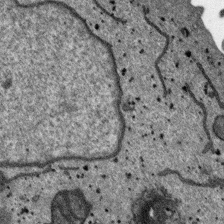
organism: Human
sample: Lung epithelial cells, uninfected (mock) control